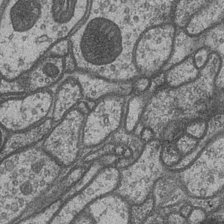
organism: Drosophila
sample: Optic medulla